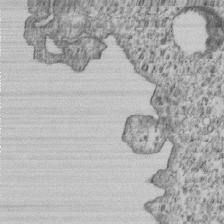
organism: Human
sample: MDA-MB-231 cells